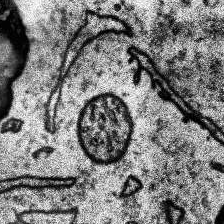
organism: Human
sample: Temporal Lobe